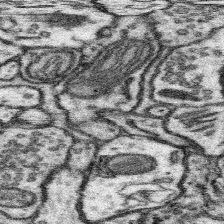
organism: Mouse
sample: Somatosensory cortex neuropil